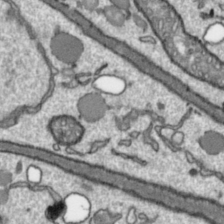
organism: Toxoplasma gondii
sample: Parasites in a vacuole inside a host cell